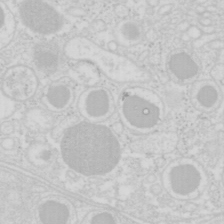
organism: Mouse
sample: Pancreas